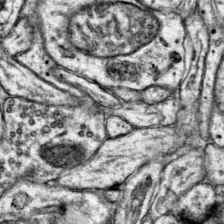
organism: Mouse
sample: Primary visual cortex